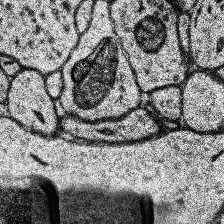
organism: Human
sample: Temporal Lobe